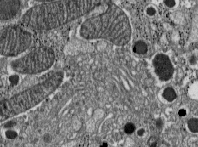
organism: C57BL Mouse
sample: Pancreatic islet